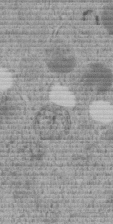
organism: C. elegans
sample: C. elegans embryo early stage